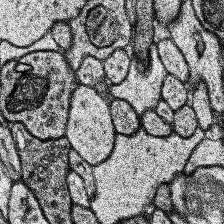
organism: Human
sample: Temporal Lobe